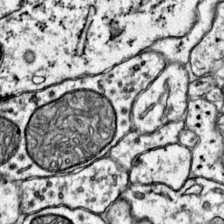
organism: Mouse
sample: Primary visual cortex